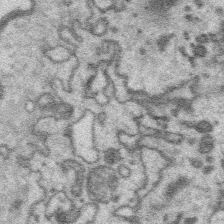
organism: Platynereis dumerilii